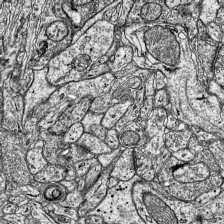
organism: Mouse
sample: Visual Cortex